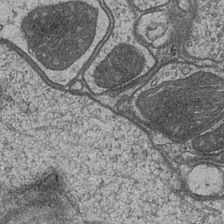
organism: Drosophila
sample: Optic medulla